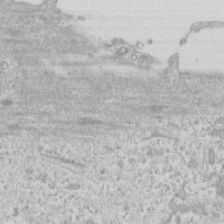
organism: Human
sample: Fibroblast cells